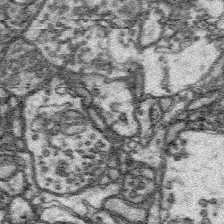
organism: Platynereis dumerilii